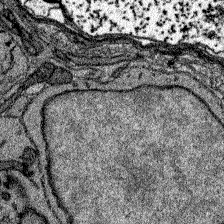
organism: Zebrafish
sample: Larval olfactory bulb